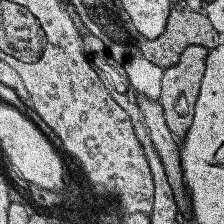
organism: Human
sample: Temporal Lobe